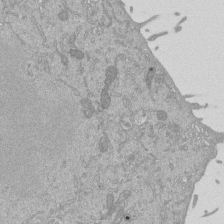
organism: Mouse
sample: ED-1 cell nuclei; centrioles